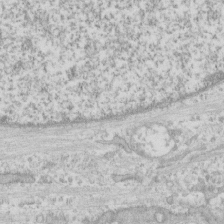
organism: Human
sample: CRL-1474